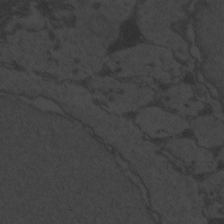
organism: Zebrafish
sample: Macrophage infected with Toxoplasma gondii